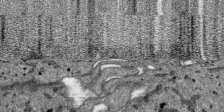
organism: Human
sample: Lung epithelial cells, uninfected (mock) control